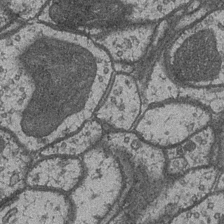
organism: Drosophila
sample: Optic medulla